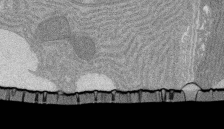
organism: Rat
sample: Salivary granule